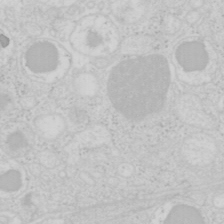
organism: Mouse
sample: Pancreas